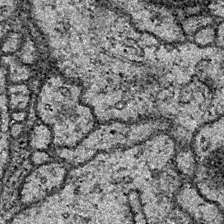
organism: Drosophila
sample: Ventral Nerve Cord